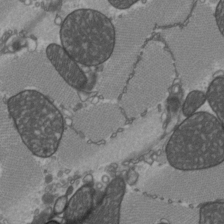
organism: C57BL Mouse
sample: Heart